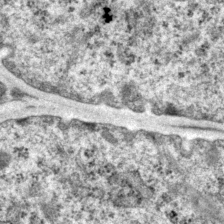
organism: P. pacificus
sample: Pharynx